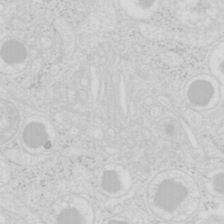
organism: Mouse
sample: Pancreas